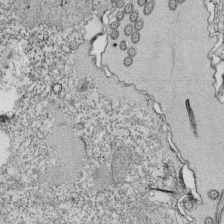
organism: Tetrahymena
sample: Cilia in tetrahymena